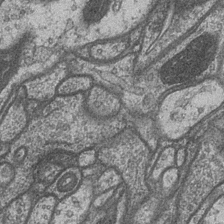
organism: Drosophila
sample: Optic medulla